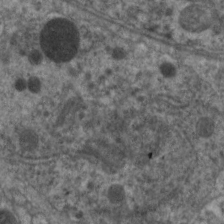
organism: C. elegans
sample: Pharynx